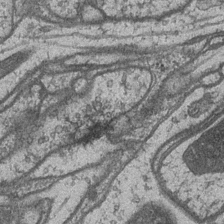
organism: Drosophila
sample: Optic medulla